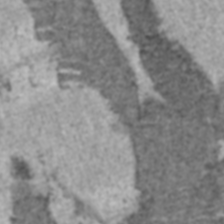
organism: C57BL Mouse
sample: Heart